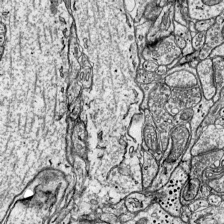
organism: Mouse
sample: Visual Cortex